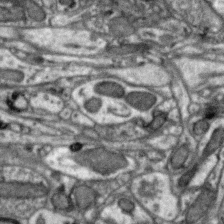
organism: Zebra finch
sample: Brain